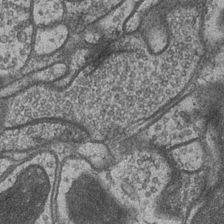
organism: Drosophila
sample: Optic medulla